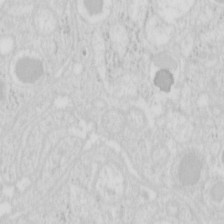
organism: Mouse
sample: Pancreas